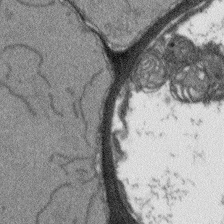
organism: Arabidopsis thaliana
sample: Root tip